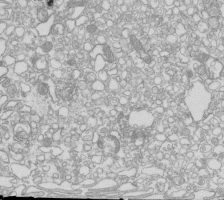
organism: Mouse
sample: Macrophages